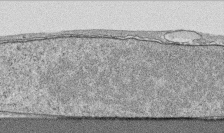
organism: Human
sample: CRL-1474